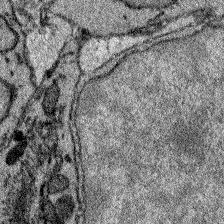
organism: Zebrafish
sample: Larval olfactory bulb